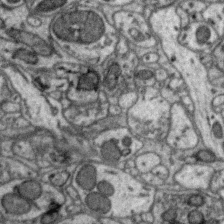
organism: Zebra finch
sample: Brain